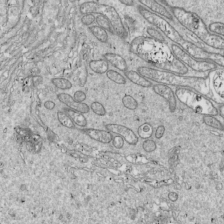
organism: Drosophila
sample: Cell division; meiosis; drosophila spermatocytes